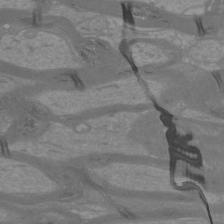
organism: Mouse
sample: Cortical neurons